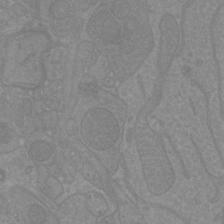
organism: Mouse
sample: Cortical neurons